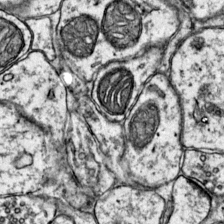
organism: Mouse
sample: Primary visual cortex